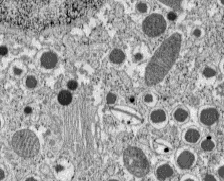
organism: C57BL Mouse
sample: Pancreatic islet